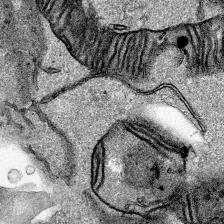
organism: Human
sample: Mitochondria in HCT116 cells